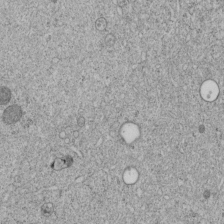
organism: C. elegans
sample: C. elegans embryo early stage